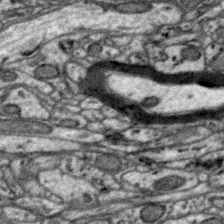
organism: Zebra finch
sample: Brain